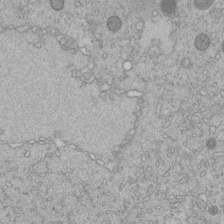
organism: C. elegans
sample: C. elegans embryo early stage